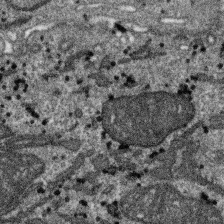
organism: Human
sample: Lung epithelial cells infected with SARS-CoV-2